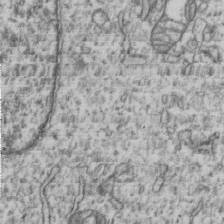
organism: Human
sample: MDA-MB-231 cells